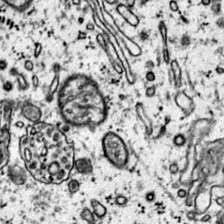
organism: Mouse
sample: Primary visual cortex